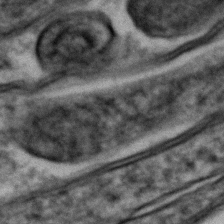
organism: Zebrafish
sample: Zebrafish embryo